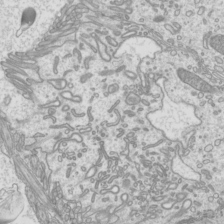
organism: Mouse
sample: Cilia; mouse epididymis